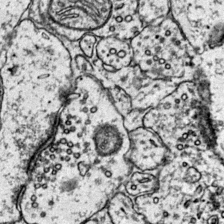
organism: Mouse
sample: Primary visual cortex